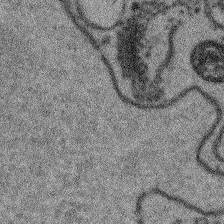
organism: Arabidopsis thaliana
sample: Root tip